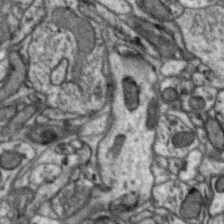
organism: Zebra finch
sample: Brain